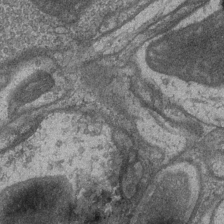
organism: Drosophila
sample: Optic medulla